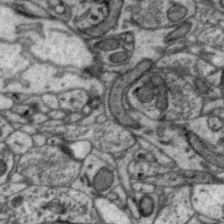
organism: Zebra finch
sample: Brain